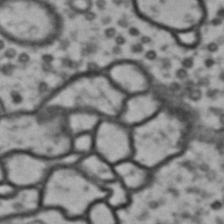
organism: Drosophila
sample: Brain